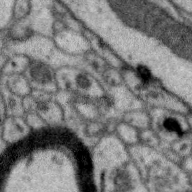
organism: Zebra finch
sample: Brain